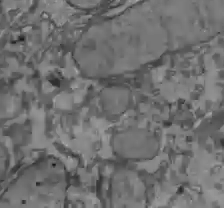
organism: C57BL Mouse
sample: Liver